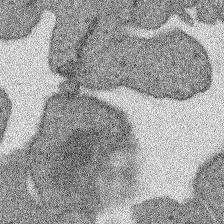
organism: Human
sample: HeLa cells